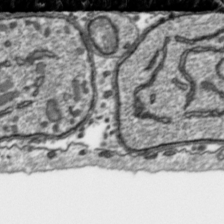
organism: Toxoplasma gondii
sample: Parasites in a vacuole inside a host cell